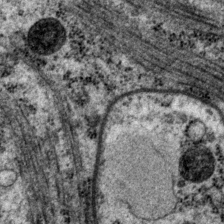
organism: P. pacificus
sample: Pharynx